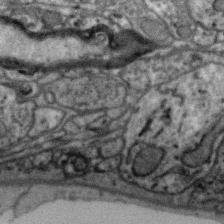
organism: Zebra finch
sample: Brain